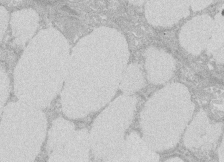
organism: Rat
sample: Salivary granule